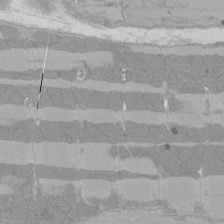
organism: Rat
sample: Left ventricle